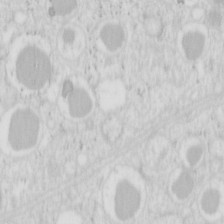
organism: Mouse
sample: Pancreas